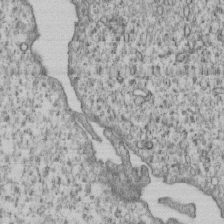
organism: Human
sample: MDA-MB-231 cells